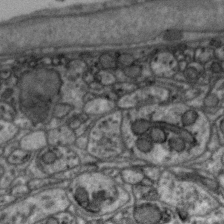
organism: Zebra finch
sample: Brain